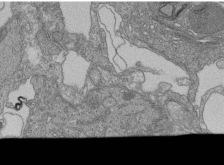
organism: Human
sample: Retinal organoid Rod and Cone cells